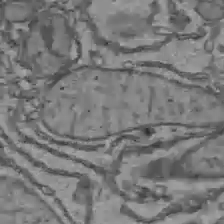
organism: C57BL Mouse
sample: Liver